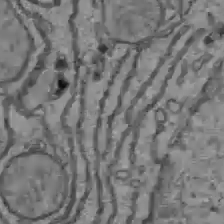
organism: C57BL Mouse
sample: Liver